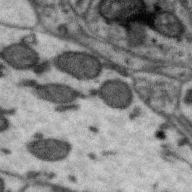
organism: Zebra finch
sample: Brain